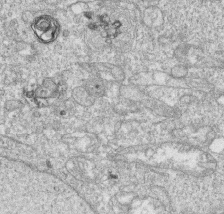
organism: Human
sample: HeLa cell HIV synapse